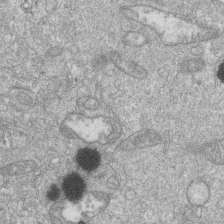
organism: Human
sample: HeLa cell HIV synapse